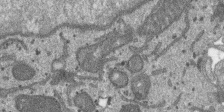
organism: Human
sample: Lung epithelial cells infected with SARS-CoV-2